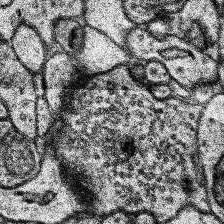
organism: Human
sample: Temporal Lobe